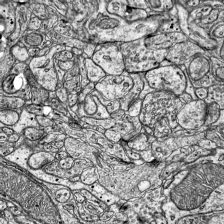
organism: Mouse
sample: Visual Cortex